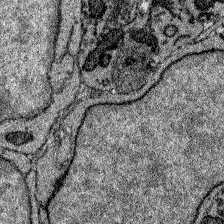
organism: Zebrafish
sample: Larval olfactory bulb